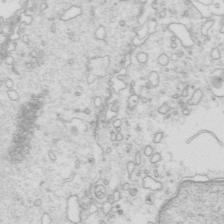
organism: Mouse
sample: Multiciliated cells